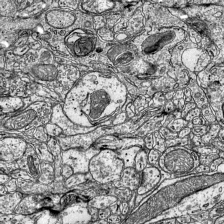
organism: Mouse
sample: Visual Cortex